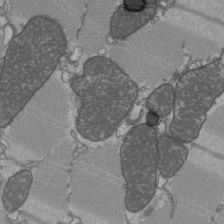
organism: C57BL Mouse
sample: Heart